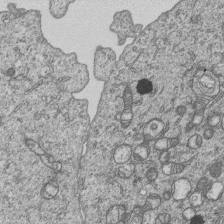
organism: Human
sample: MDA-MB-231 cells